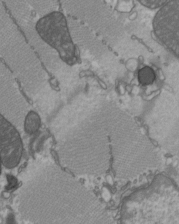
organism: C57BL Mouse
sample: Heart